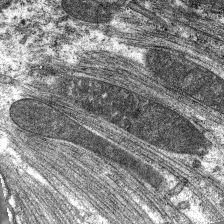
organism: C. elegans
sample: Pharynx